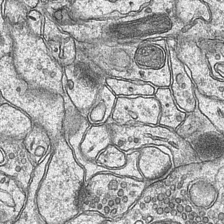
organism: Mouse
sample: CA1 Hippocampus